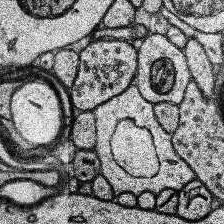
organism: Human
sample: Temporal Lobe